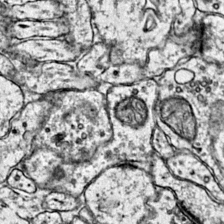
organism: Mouse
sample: Primary visual cortex